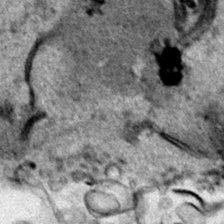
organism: Human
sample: Mitochondria in HCT116 cells